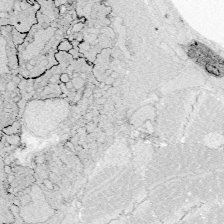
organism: Zebrafish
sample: Whole-Brain